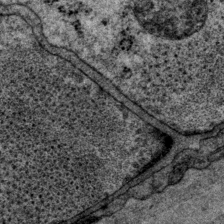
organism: P. pacificus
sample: Pharynx